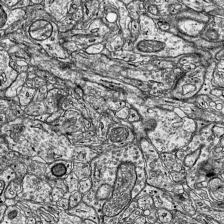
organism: Mouse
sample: Visual Cortex